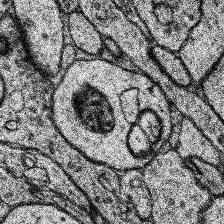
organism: Human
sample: Temporal Lobe